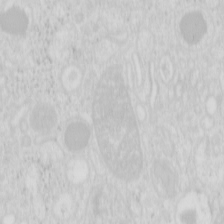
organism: Mouse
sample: Pancreas